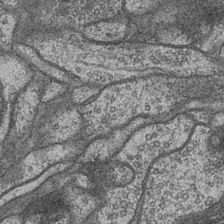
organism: Drosophila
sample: Optic medulla